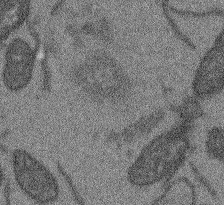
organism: Arabidopsis thaliana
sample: Root tip